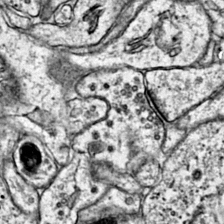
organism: Mouse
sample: Primary visual cortex